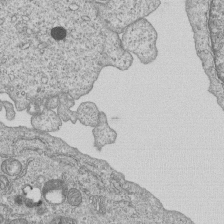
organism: Human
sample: MDA-MB-231 cells